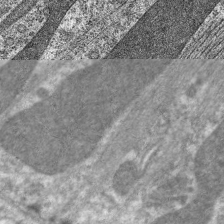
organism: C. elegans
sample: Pharynx